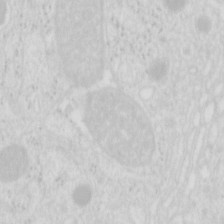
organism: Mouse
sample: Pancreas